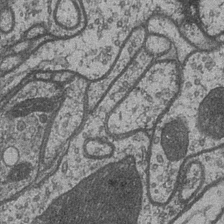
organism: Drosophila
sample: Optic medulla